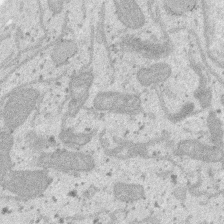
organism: Human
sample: Lung epithelial cells infected with SARS-CoV-2